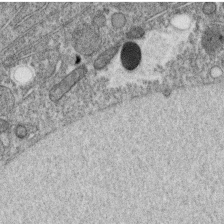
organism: C. elegans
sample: C. elegans oocyte; sperm cells